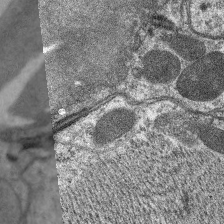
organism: C. elegans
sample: Pharynx